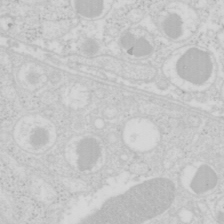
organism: Mouse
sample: Pancreas